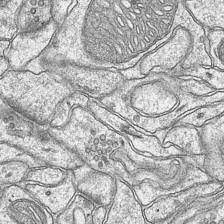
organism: Mouse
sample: CA1 Hippocampus